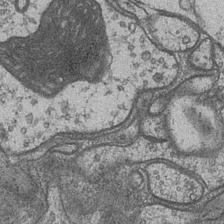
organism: Drosophila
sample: Optic medulla